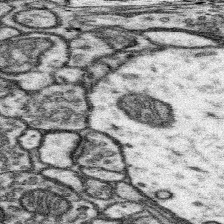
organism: Mouse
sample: Somatosensory cortex neuropil